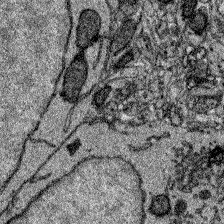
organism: Zebrafish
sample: Larval olfactory bulb